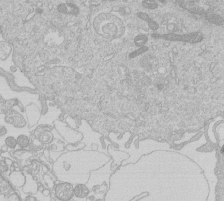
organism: Human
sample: Macrophage cells